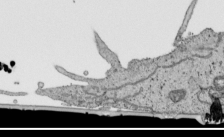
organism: Human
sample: Mitochondria in HCT116 cells